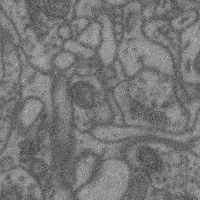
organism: Mouse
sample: Cerebral cortex